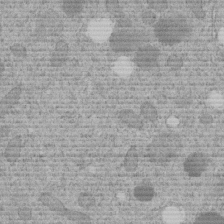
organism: C. elegans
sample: C. elegans embryo early stage